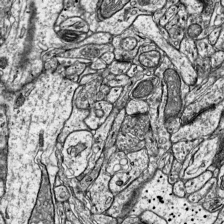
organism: Mouse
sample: Visual Cortex